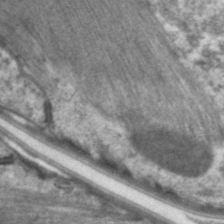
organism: C. elegans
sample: Pharynx